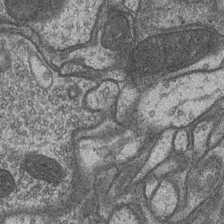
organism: Drosophila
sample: Optic medulla